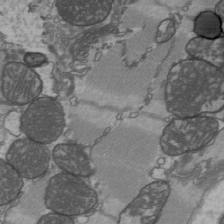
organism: C57BL Mouse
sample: Heart